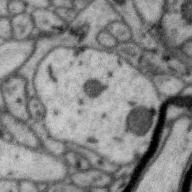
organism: Zebra finch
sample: Brain